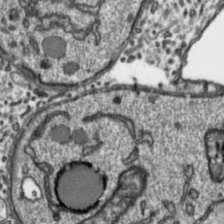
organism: Toxoplasma gondii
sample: Parasites in a vacuole inside a host cell